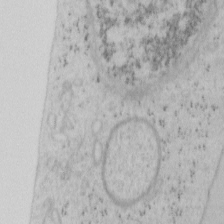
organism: Human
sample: HeLa cells